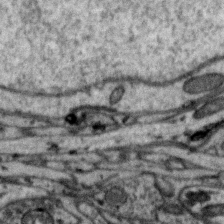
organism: Zebra finch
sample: Brain